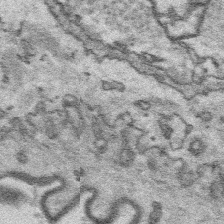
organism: Platynereis dumerilii